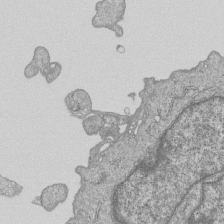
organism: Human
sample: MDA-MB-231 cells